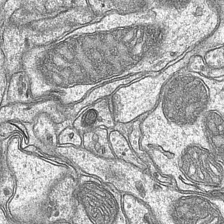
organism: Mouse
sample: CA1 Hippocampus